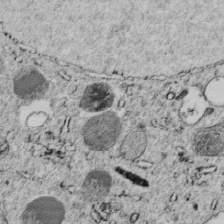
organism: C. elegans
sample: C. elegans embryo early stage